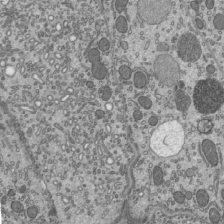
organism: Mouse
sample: Mouse epididymis efferent ductule cilia